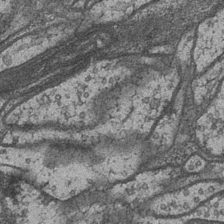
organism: Drosophila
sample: Optic medulla